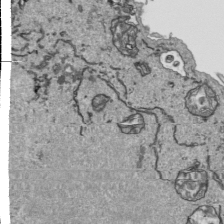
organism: Human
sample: Mitochondria in HCT116 cells